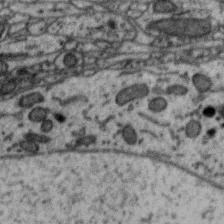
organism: Zebra finch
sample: Brain